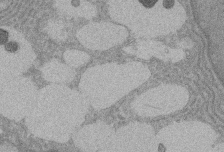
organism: Rat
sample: Salivary granule